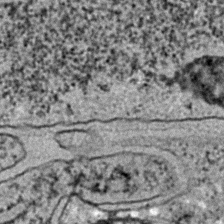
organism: C. elegans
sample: C. elegans embryo